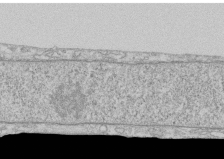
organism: Human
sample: CRL-1474